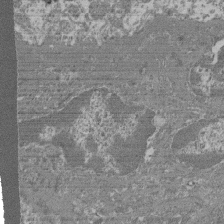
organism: Mouse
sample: Glomerulus